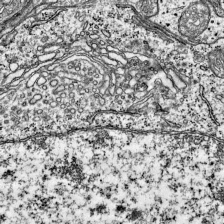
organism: Mouse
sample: Visual Cortex